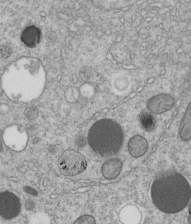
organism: C. elegans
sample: C. elegans embryo early stage